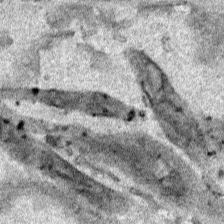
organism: Human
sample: Mitochondria in HCT116 cells